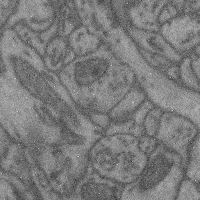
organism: Mouse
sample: Cerebral cortex